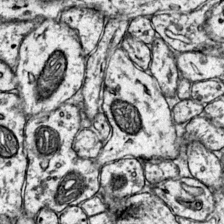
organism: Mouse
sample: Primary visual cortex